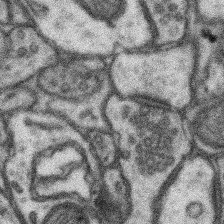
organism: Mouse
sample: Somatosensory cortex neuropil